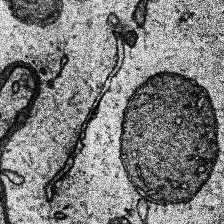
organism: Human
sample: Temporal Lobe